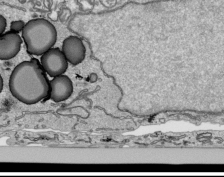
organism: Human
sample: Mitochondria in HCT116 cells